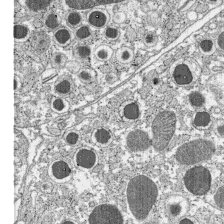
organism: C57BL Mouse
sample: Pancreatic islet